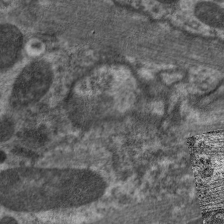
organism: C. elegans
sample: Pharynx